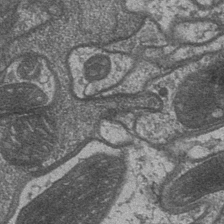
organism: Drosophila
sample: Optic medulla